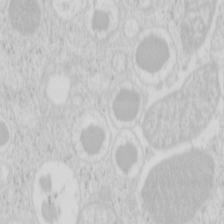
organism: Mouse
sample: Pancreas